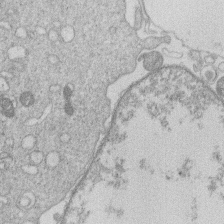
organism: Human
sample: Macrophage cells